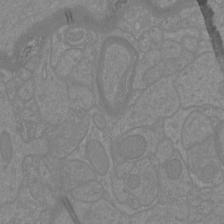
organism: Mouse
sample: Cortical neurons